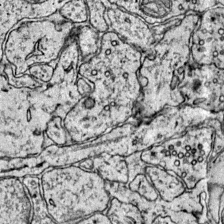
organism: Mouse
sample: Primary visual cortex